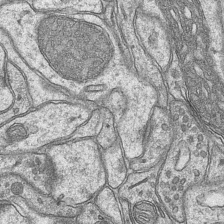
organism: Mouse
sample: CA1 Hippocampus